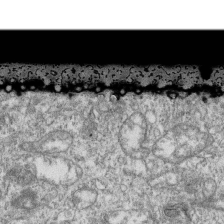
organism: Human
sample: HeLa cell HIV synapse